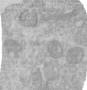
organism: Human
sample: Centriole in RPE cells